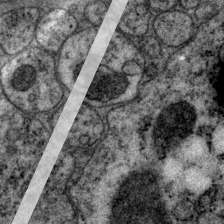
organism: P. pacificus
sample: Pharynx